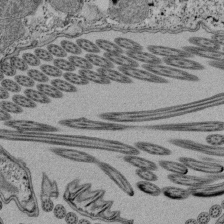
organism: Tetrahymena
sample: Cilia in tetrahymena